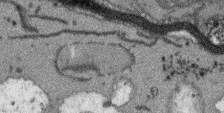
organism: Arabidopsis thaliana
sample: Root tip